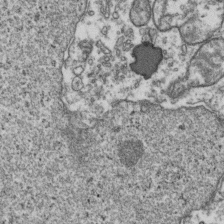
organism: Human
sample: Activated Jurkat CD4+ T cells